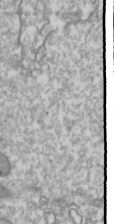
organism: Drosophila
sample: Cell division; meiosis; drosophila spermatocytes